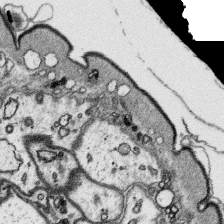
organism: Platynereis dumerilii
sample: Parapodia